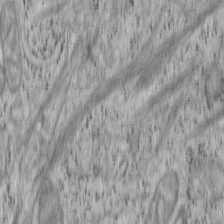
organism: Human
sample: HeLa cells